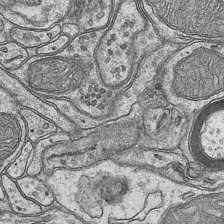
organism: Mouse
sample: CA1 Hippocampus